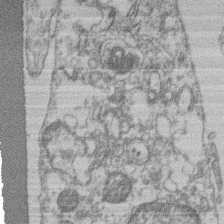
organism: Mouse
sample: T cell stromal cell synapse